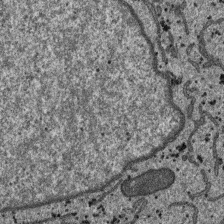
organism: Human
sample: Lung epithelial cells infected with SARS-CoV-2